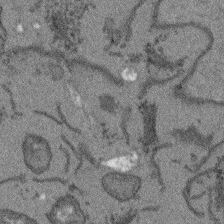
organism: Arabidopsis thaliana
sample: Root tip